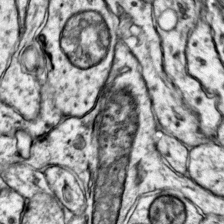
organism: Mouse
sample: Primary visual cortex